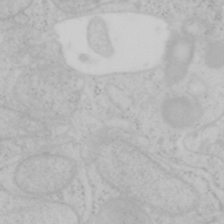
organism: Mouse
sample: OT-I killer T cells with ID8 ovarian cancer cells